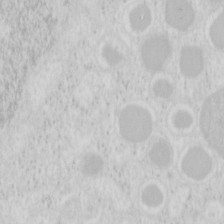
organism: Mouse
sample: Pancreas